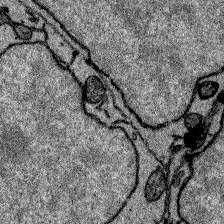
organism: Zebrafish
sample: Larval olfactory bulb